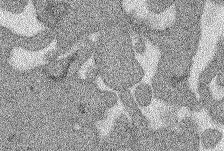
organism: Human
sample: HeLa cells